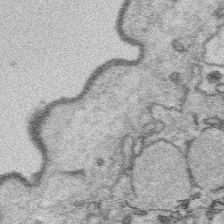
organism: Platynereis dumerilii